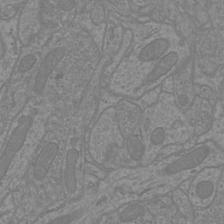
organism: Mouse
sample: Cortical neurons